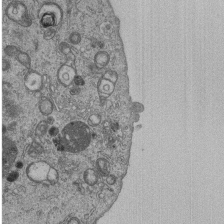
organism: Human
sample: MDA-MB-231 cells